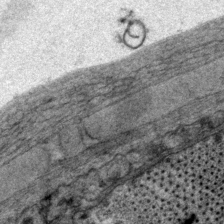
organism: P. pacificus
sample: Pharynx